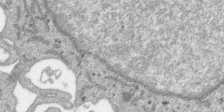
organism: Human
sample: Lung epithelial cells infected with SARS-CoV-2